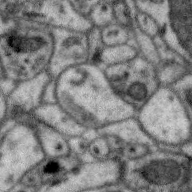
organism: Zebra finch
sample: Brain